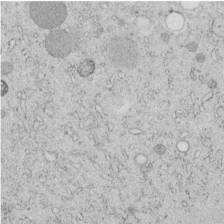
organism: C. elegans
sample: C. elegans embryo early stage